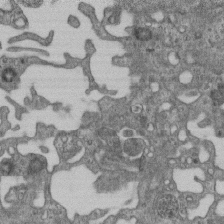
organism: Mouse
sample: Centriole in ependymal cells